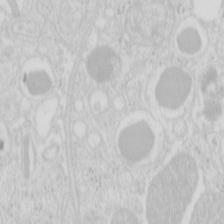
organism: Mouse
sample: Pancreas